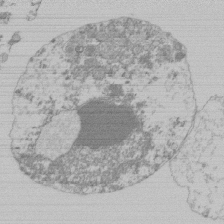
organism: Mouse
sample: Activated Pmel transgenic CD8+ T Cells